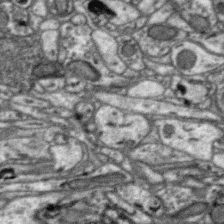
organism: Zebra finch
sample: Brain